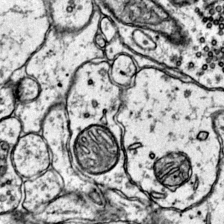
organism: Mouse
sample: Primary visual cortex